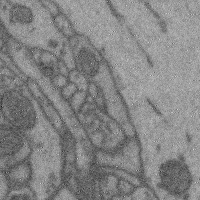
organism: Mouse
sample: Cerebral cortex